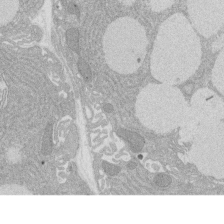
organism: Rat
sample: Salivary granule